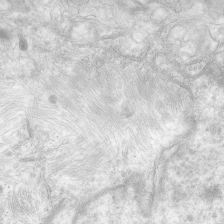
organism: Human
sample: Neocortex